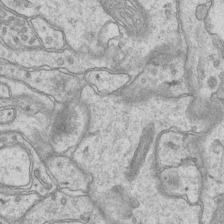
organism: Mouse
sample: CA1 Hippocampus